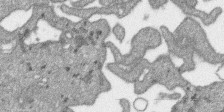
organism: Human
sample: Lung epithelial cells infected with SARS-CoV-2